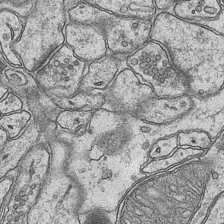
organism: Mouse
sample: CA1 Hippocampus